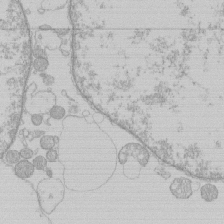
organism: Human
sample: Macrophage cells